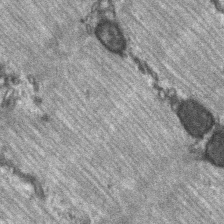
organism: C57BL Mouse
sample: Soleus